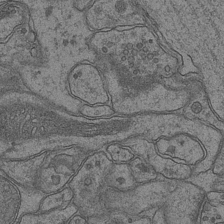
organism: Mouse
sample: CA1 Hippocampus